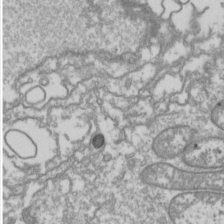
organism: Drosophila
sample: Cell division; meiosis; drosophila spermatocytes